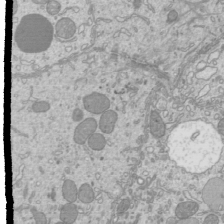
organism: Mouse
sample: Cilia; mouse epididymis